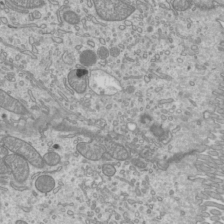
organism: Mouse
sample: Cilia; mouse epididymis